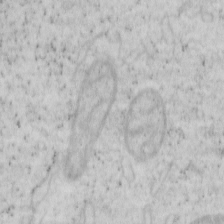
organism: Human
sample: HeLa cells